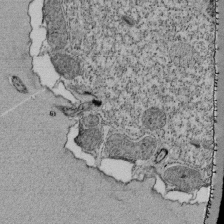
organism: Tetrahymena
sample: Cilia in tetrahymena